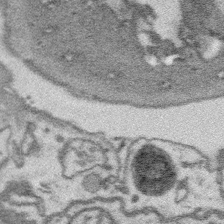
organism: Platynereis dumerilii